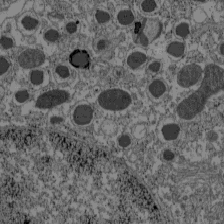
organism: C57BL Mouse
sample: Pancreatic islet